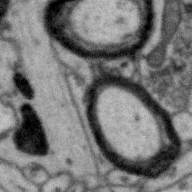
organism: Zebra finch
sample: Brain